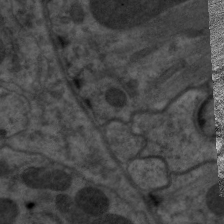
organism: C. elegans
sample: Pharynx